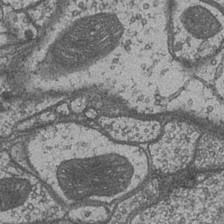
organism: Drosophila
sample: Optic medulla